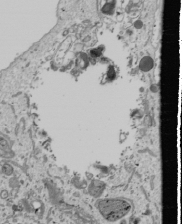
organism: Human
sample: Mitochondria in U2OS cells